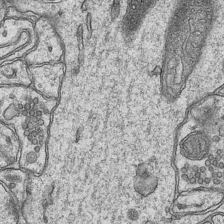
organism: Mouse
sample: CA1 Hippocampus